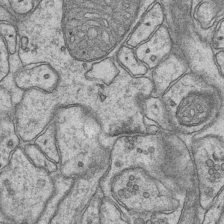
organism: Mouse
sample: CA1 Hippocampus